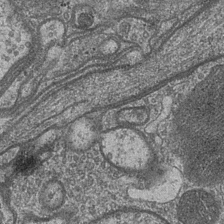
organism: Drosophila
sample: Optic medulla